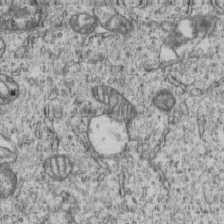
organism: Human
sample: MDA-MB-231 cells